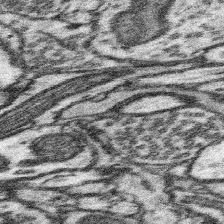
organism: Mouse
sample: Somatosensory cortex neuropil